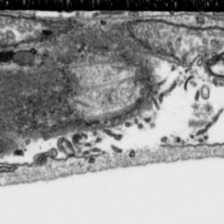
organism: Toxoplasma gondii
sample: Parasites in a vacuole inside a host cell